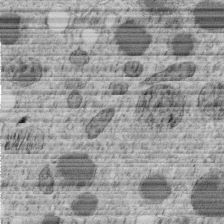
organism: C. elegans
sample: C. elegans embryo early stage